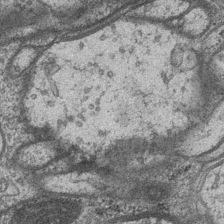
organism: Drosophila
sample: Optic medulla